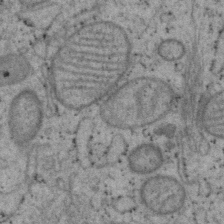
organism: Human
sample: HeLa cells